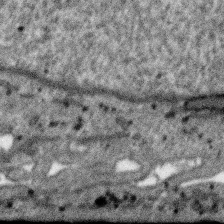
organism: Human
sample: Lung epithelial cells infected with SARS-CoV-2